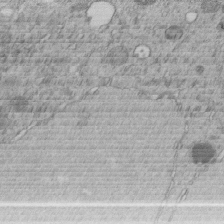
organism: C. elegans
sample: C. elegans embryo early stage